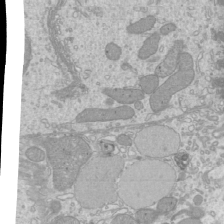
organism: Mouse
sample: Cilia; mouse epididymis